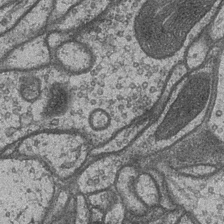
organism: Drosophila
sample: Optic medulla